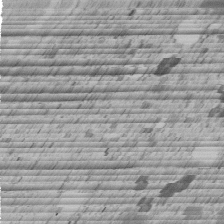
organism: C. elegans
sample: C. elegans embryo early stage